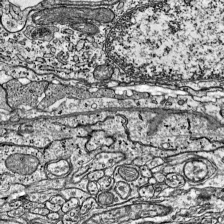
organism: Mouse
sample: Visual Cortex